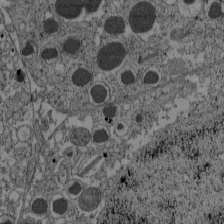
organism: C57BL Mouse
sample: Pancreatic islet